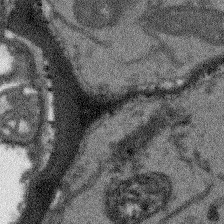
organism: Arabidopsis thaliana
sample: Root tip